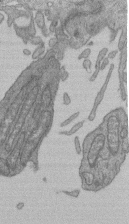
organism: Human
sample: Retinal organoid Rod and Cone cells